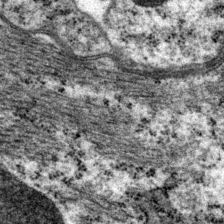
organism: P. pacificus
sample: Pharynx